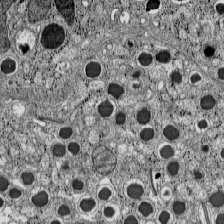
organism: C57BL Mouse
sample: Pancreatic islet